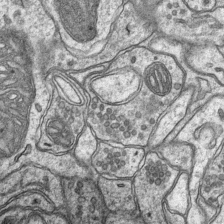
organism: Mouse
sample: CA1 Hippocampus